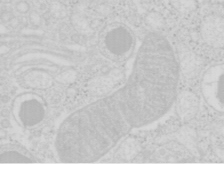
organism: Mouse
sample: Pancreas